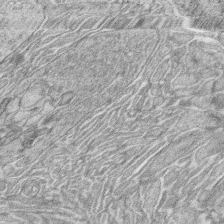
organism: Zebrafish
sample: synaptic ribbons in rod cells and cone cells